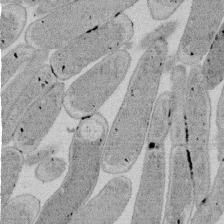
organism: E. coli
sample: Bacterial nucleoid